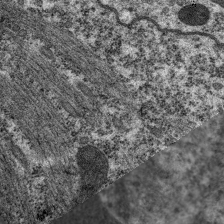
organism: C. elegans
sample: Pharynx